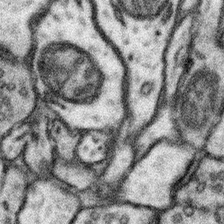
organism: Mouse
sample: Somatosensory cortex neuropil